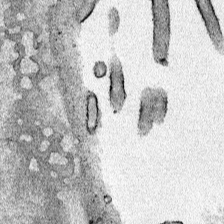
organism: Human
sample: Mitochondria in HCT116 cells